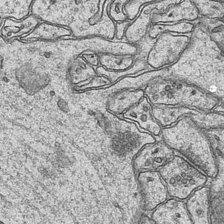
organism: Mouse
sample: CA1 Hippocampus